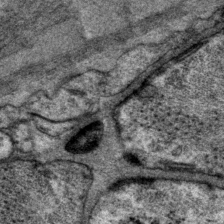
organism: P. pacificus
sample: Pharynx